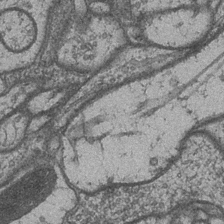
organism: Drosophila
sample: Optic medulla